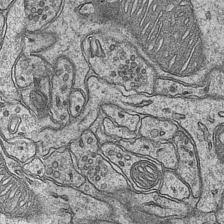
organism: Mouse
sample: CA1 Hippocampus